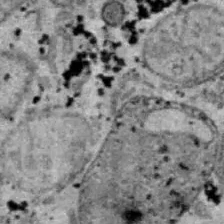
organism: Mouse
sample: Liver from an obese (ob/ob) mouse